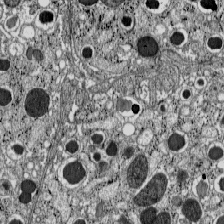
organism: C57BL Mouse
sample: Pancreatic islet